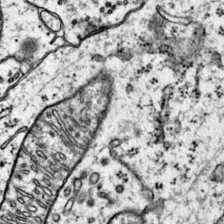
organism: Mouse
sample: Primary visual cortex